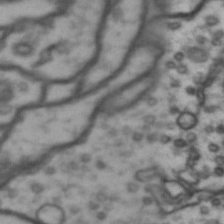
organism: Drosophila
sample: Brain